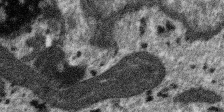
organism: Human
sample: Lung epithelial cells infected with SARS-CoV-2